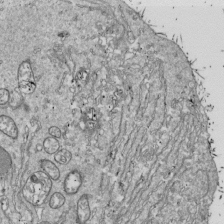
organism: Drosophila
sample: Cell division; meiosis; drosophila spermatocytes